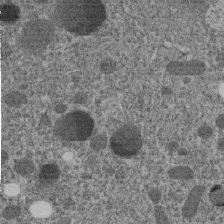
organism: C. elegans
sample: C. elegans embryo early stage